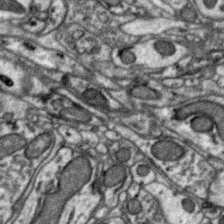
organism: Zebra finch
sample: Brain